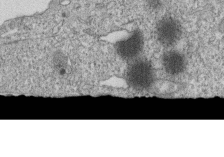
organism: Human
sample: HeLa cell HIV synapse